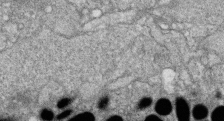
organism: Zebrafish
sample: Cilia; retinal pigment epithelium